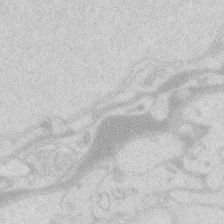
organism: Zebrafish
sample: Macrophage